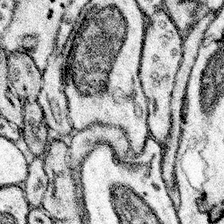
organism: Mouse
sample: Somatosensory cortex neuropil